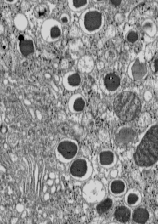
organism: C57BL Mouse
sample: Pancreatic islet